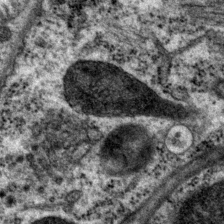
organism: P. pacificus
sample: Pharynx